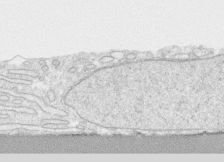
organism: Human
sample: CRL-1474